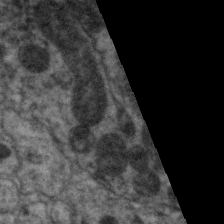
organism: C. elegans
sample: Pharynx